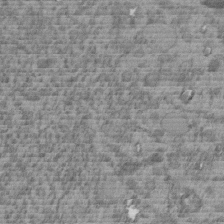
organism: C. elegans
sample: C. elegans embryo early stage